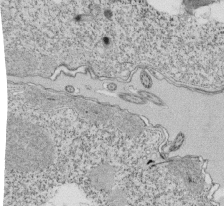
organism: Tetrahymena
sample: Cilia in tetrahymena